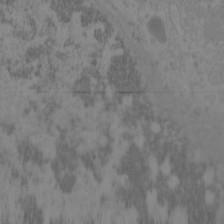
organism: Human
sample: HeLa cells